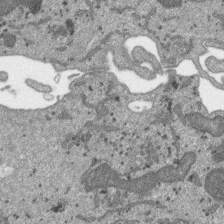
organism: Human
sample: Lung epithelial cells infected with SARS-CoV-2